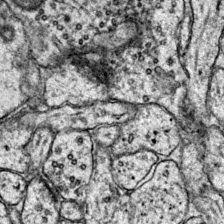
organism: Mouse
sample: Primary visual cortex